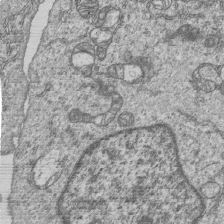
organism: Human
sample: MDA-MB-231 cells